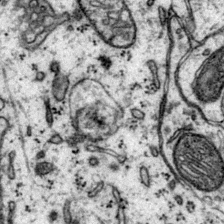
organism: Mouse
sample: Primary visual cortex